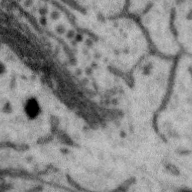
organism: Zebra finch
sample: Brain